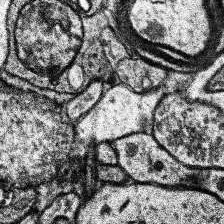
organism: Human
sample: Temporal Lobe